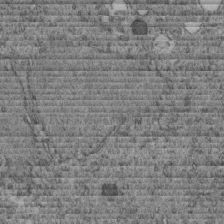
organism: C. elegans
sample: C. elegans embryo early stage